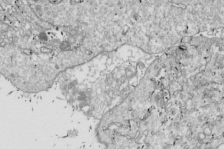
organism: Drosophila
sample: Cell division; meiosis; drosophila spermatocytes